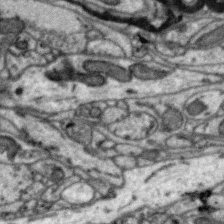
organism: Zebra finch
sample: Brain